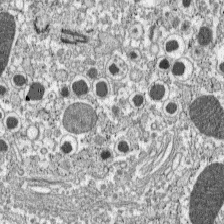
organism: C57BL Mouse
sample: Pancreatic islet